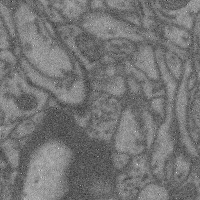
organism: Mouse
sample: Cerebral cortex